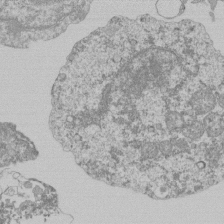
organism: Mouse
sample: Activated Pmel transgenic CD8+ T Cells